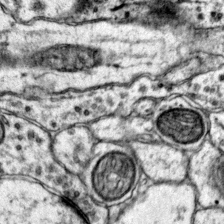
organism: Mouse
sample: Primary visual cortex